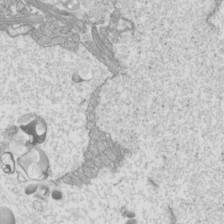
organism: Mouse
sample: Cilia; mouse epididymis